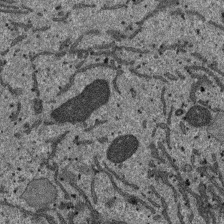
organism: Human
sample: Lung epithelial cells infected with SARS-CoV-2